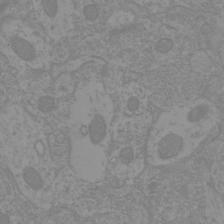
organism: Mouse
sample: Cortical neurons